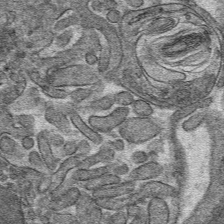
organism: Mouse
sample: Mouse hepatocytes